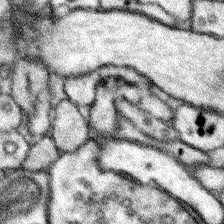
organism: Mouse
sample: Somatosensory cortex neuropil